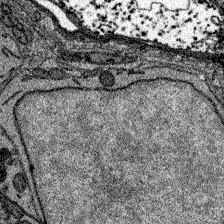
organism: Zebrafish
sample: Larval olfactory bulb